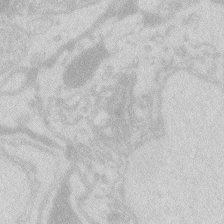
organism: Zebrafish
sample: Macrophage